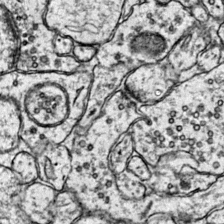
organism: Mouse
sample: Primary visual cortex